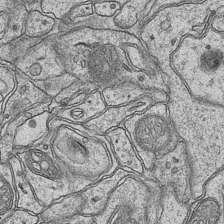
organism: Mouse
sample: CA1 Hippocampus